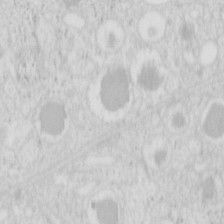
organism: Mouse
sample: Pancreas